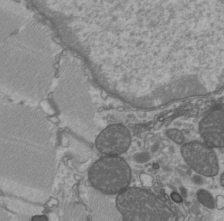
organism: C57BL Mouse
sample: Heart